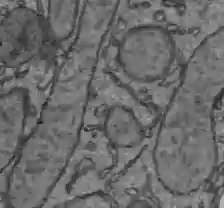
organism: C57BL Mouse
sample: Liver